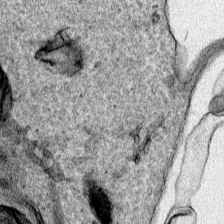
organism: Human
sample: Mitochondria in HCT116 cells